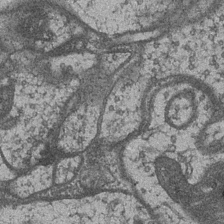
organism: Drosophila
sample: Optic medulla